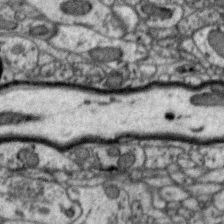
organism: Zebra finch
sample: Brain